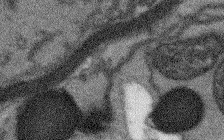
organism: Arabidopsis thaliana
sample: Root tip